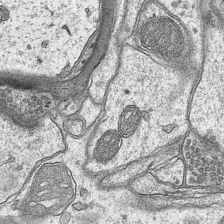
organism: Mouse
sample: CA1 Hippocampus